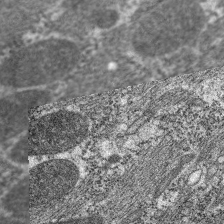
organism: C. elegans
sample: Pharynx